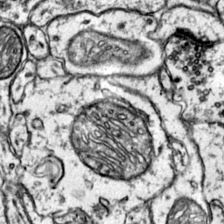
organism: Mouse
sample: Primary visual cortex